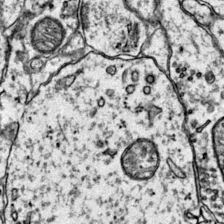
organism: Mouse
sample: Primary visual cortex